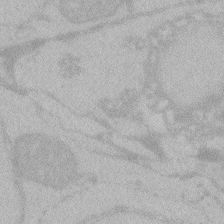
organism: Zebrafish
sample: Macrophage infected with Toxoplasma gondii